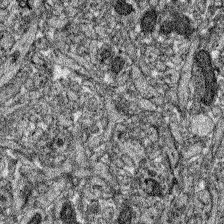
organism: Zebrafish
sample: Larval olfactory bulb